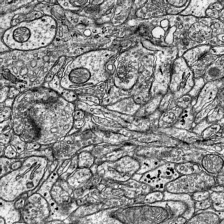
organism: Mouse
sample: Visual Cortex